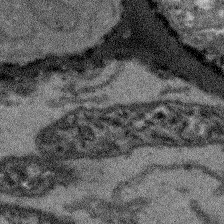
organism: Arabidopsis thaliana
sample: Root tip